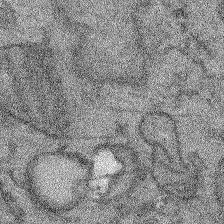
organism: Human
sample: HeLa cells